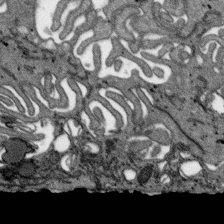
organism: Human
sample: Lung epithelial cells, uninfected (mock) control